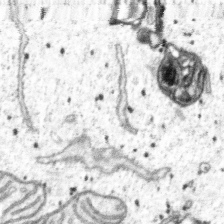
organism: Human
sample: HeLa cells